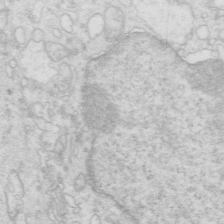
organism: Mouse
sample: Multiciliated cells